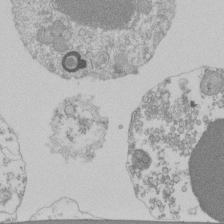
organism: Mouse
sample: Activated Pmel transgenic CD8+ T Cells